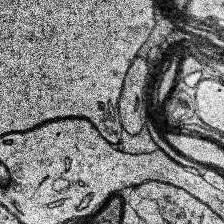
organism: Human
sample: Temporal Lobe